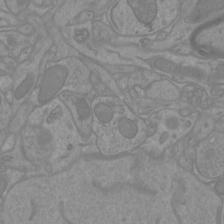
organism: Mouse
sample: Cortical neurons